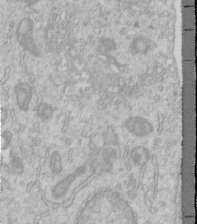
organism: Human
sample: Centriole in RPE cells